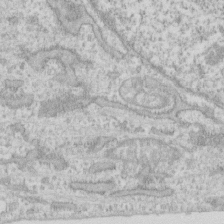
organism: Human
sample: Fibroblast cells